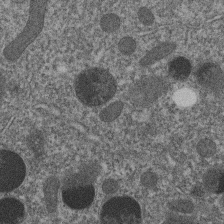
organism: C. elegans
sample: C. elegans embryo early stage